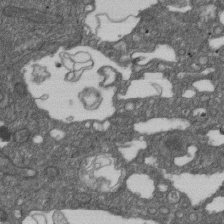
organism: Drosophila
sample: Nephrocyte